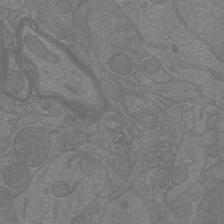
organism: Mouse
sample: Cortical neurons